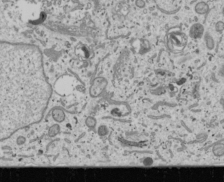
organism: Human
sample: Mitochondria in U2OS cells